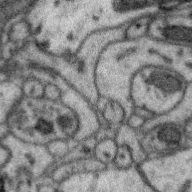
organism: Zebra finch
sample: Brain